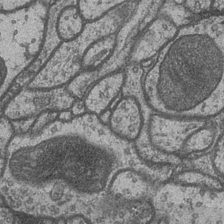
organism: Drosophila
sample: Optic medulla